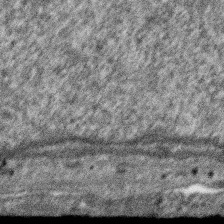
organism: Human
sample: Lung epithelial cells infected with SARS-CoV-2